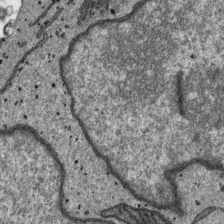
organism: Human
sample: Lung epithelial cells, uninfected (mock) control